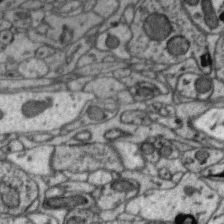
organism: Zebra finch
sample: Brain